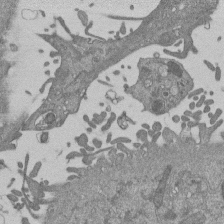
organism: Mouse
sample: ED-1 cell nuclei; centrioles